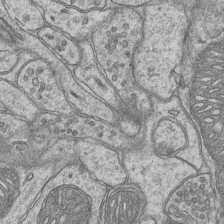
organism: Mouse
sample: CA1 Hippocampus